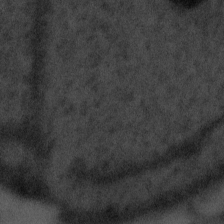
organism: Tuwongella immobilis